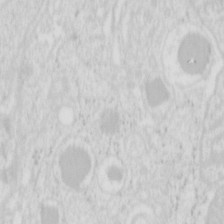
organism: Mouse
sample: Pancreas